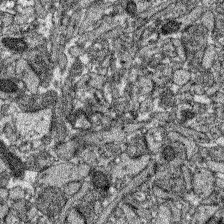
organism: Zebrafish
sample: Larval olfactory bulb